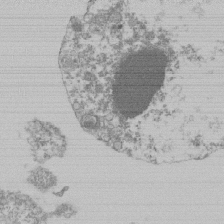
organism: Mouse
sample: Activated Pmel transgenic CD8+ T Cells